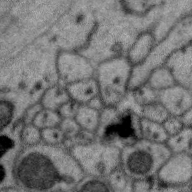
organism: Zebra finch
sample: Brain